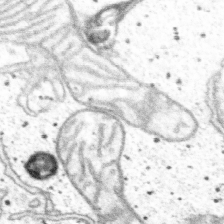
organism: Human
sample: HeLa cells